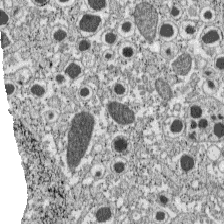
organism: C57BL Mouse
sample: Pancreatic islet